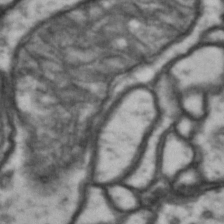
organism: Drosophila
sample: Brain